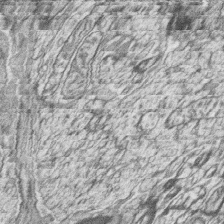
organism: Zebrafish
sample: synaptic ribbons in rod cells and cone cells